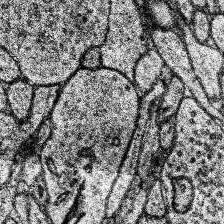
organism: Human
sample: Temporal Lobe